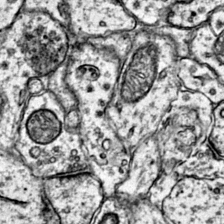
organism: Mouse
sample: Primary visual cortex